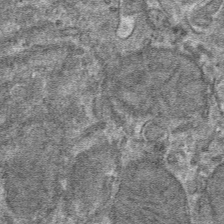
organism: Mouse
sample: Mouse hepatocytes